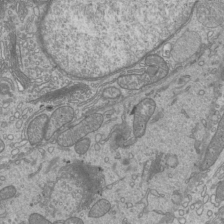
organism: Mouse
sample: Cilia; mouse epididymis